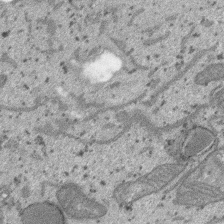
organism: Human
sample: Lung epithelial cells infected with SARS-CoV-2